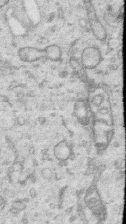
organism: Human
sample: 1205lu cells